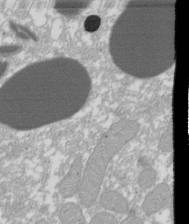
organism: Xenopus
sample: Cilia; centrioles in frog embryo cells